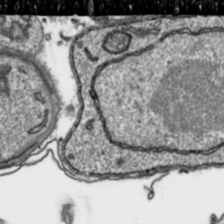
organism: Toxoplasma gondii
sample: Parasites in a vacuole inside a host cell